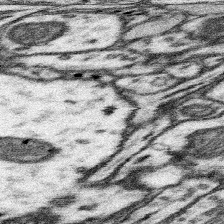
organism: Mouse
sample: Somatosensory cortex neuropil